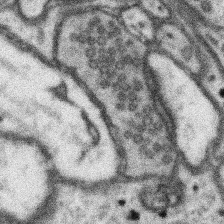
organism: Mouse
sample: Somatosensory cortex neuropil